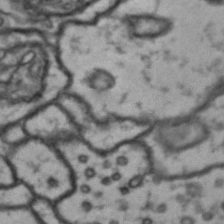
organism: Drosophila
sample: Brain